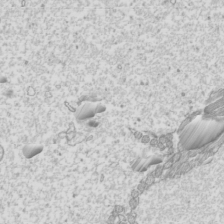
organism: Mouse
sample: Cilia; mouse epididymis